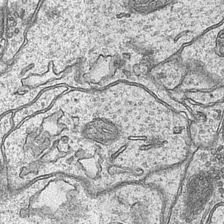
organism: Mouse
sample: CA1 Hippocampus